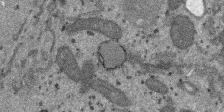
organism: Human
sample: Lung epithelial cells infected with SARS-CoV-2